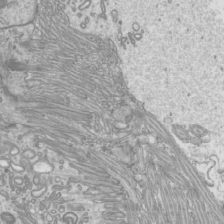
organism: Mouse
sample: Cilia; mouse epididymis